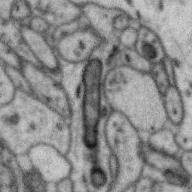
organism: Zebra finch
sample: Brain